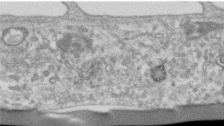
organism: Human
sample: Centriole in RPE cells